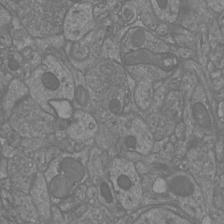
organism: Mouse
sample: Cortical neurons